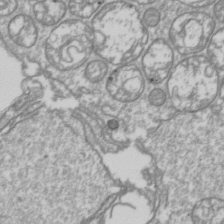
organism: Drosophila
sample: Cell division; meiosis; drosophila spermatocytes